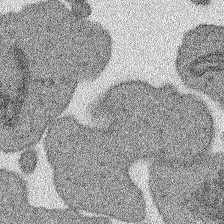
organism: Human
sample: HeLa cells